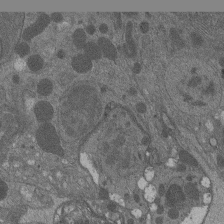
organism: Drosophila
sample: Antenna